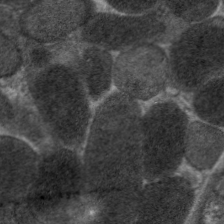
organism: C. elegans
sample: Pharynx